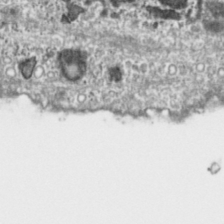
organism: Toxoplasma gondii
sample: Parasites in a vacuole inside a host cell